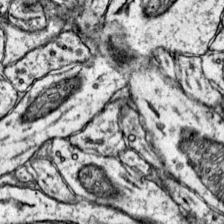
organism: Mouse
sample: Primary visual cortex